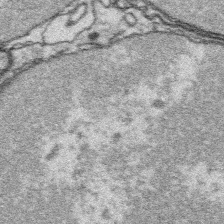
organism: Platynereis dumerilii